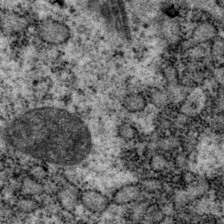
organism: P. pacificus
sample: Pharynx